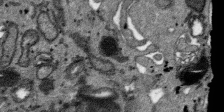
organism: Human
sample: Lung epithelial cells, uninfected (mock) control